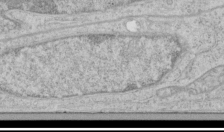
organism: Human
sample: Mitochondria in HCT116 cells